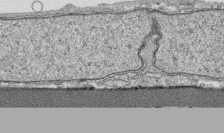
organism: Human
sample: CRL-1474